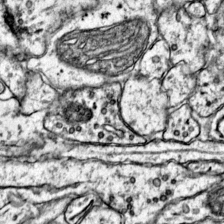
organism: Mouse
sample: Primary visual cortex